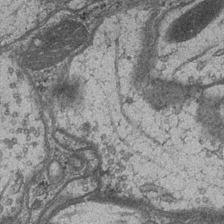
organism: Drosophila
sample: Optic medulla